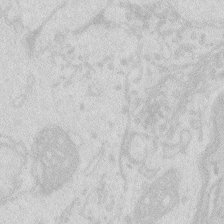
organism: Zebrafish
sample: Macrophage